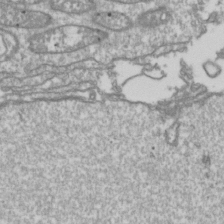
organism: Drosophila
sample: Cell division; meiosis; drosophila spermatocytes